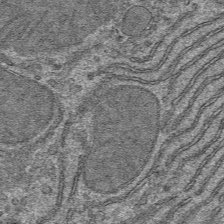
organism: Mouse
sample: Mouse hepatocytes